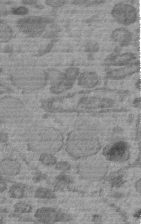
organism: C. elegans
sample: C. elegans embryo early stage